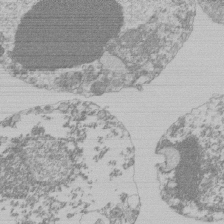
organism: Mouse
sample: Activated Pmel transgenic CD8+ T Cells